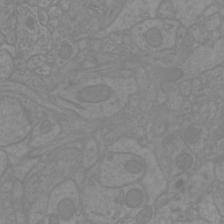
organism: Mouse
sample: Cortical neurons